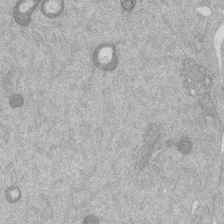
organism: Mouse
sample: Dividing mouse embryo 1 cell stage